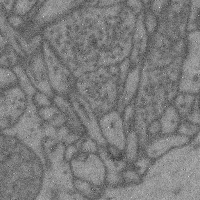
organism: Mouse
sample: Cerebral cortex